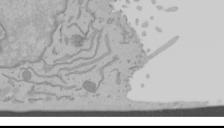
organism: Mouse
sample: Cancer cell death in ED-1 cells